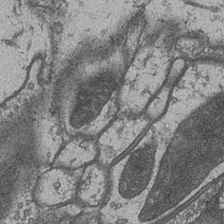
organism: Drosophila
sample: Optic medulla